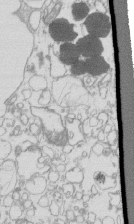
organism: Mouse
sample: Macrophages